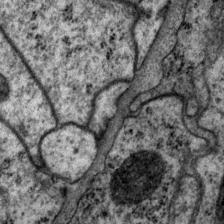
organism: P. pacificus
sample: Pharynx